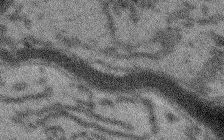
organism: Arabidopsis thaliana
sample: Root tip